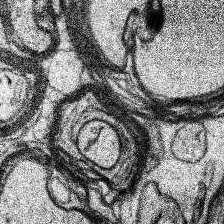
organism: Human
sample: Temporal Lobe